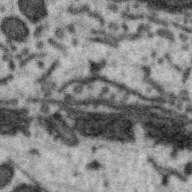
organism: Zebra finch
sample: Brain